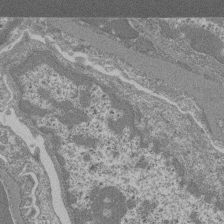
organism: Mouse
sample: Glomerulus